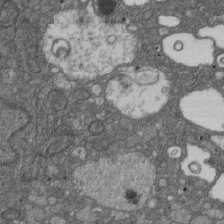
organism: Drosophila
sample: Nephrocyte